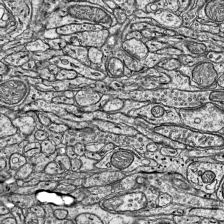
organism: Mouse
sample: Visual Cortex